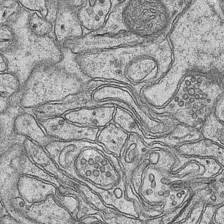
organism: Mouse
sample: CA1 Hippocampus